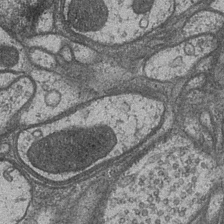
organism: Drosophila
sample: Optic medulla